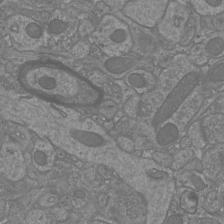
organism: Mouse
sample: Cortical neurons